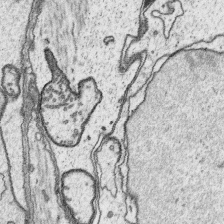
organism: Platynereis dumerilii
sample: Parapodia